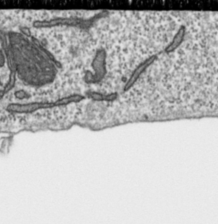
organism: Toxoplasma gondii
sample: Parasites in a vacuole inside a host cell